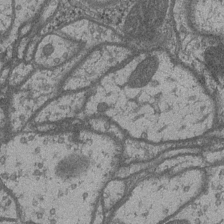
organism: Drosophila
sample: Optic medulla